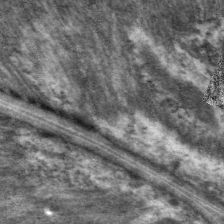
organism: C. elegans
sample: Pharynx